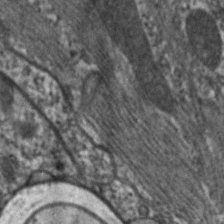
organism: C. elegans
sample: Pharynx